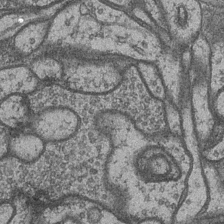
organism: Drosophila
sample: Optic medulla